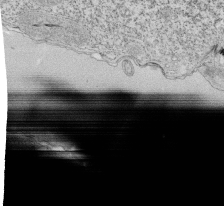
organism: Tetrahymena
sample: Cilia in tetrahymena